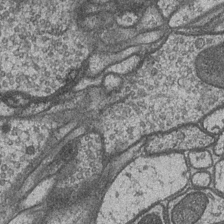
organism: Drosophila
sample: Optic medulla